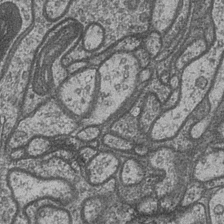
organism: Drosophila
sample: Optic medulla